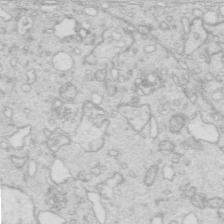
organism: Mouse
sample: Multiciliated cells